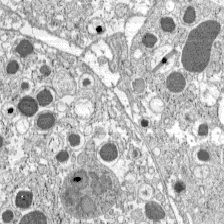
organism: C57BL Mouse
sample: Pancreatic islet